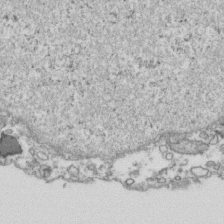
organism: Human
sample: Activated Jurkat CD4+ T cells